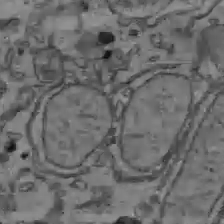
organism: C57BL Mouse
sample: Liver